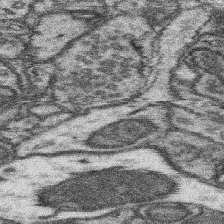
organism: Mouse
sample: Somatosensory cortex neuropil